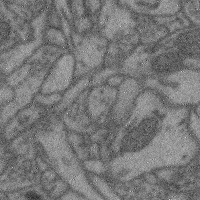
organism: Mouse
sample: Cerebral cortex